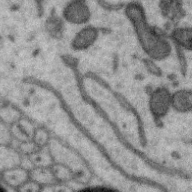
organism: Zebra finch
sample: Brain